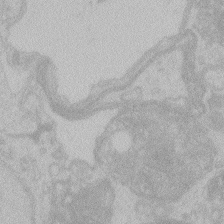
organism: Zebrafish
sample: Macrophage infected with Toxoplasma gondii